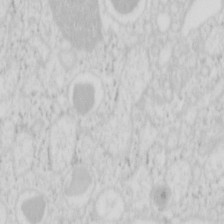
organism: Mouse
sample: Pancreas